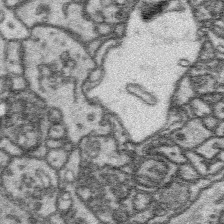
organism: Platynereis dumerilii